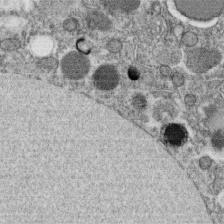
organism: C. elegans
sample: C. elegans oocyte; sperm cells